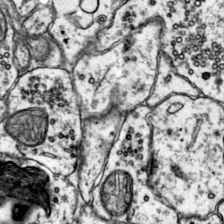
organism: Mouse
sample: Primary visual cortex